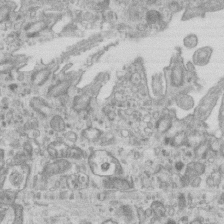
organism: Mouse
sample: Centriole in ependymal cells